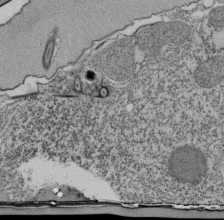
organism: Tetrahymena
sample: Cilia in tetrahymena